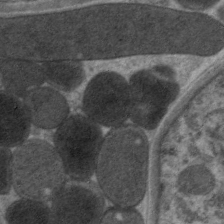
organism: C. elegans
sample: Pharynx